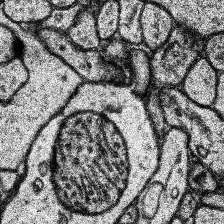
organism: Human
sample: Temporal Lobe